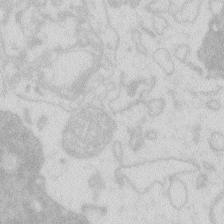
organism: Zebrafish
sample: Macrophage